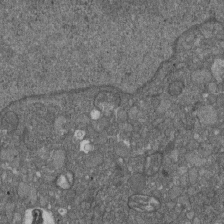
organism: Drosophila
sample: Nephrocyte